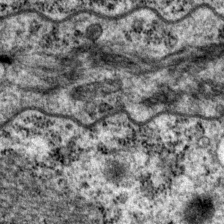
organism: P. pacificus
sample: Pharynx